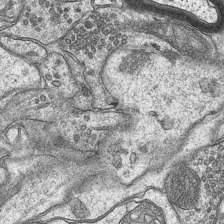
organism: Mouse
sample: CA1 Hippocampus